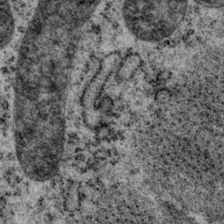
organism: P. pacificus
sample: Pharynx